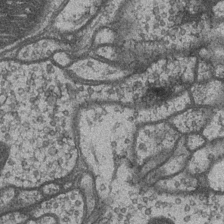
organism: Drosophila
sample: Optic medulla